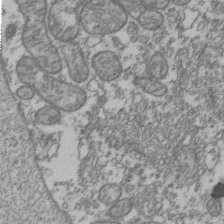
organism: Human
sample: Activated Jurkat CD4+ T cells